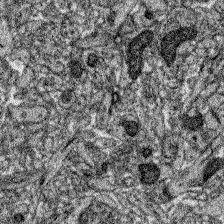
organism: Zebrafish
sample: Larval olfactory bulb